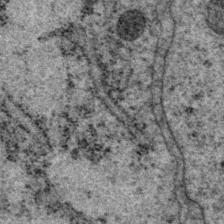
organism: P. pacificus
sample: Pharynx